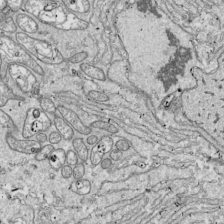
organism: Drosophila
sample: Cell division; meiosis; drosophila spermatocytes